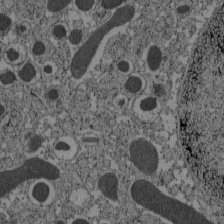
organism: C57BL Mouse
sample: Pancreatic islet